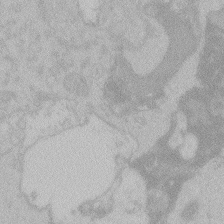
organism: Zebrafish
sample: Macrophage infected with Toxoplasma gondii